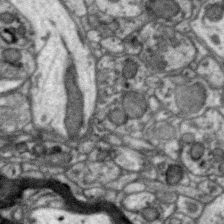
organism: Zebra finch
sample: Brain